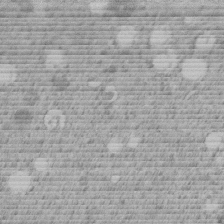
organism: C. elegans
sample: C. elegans embryo early stage